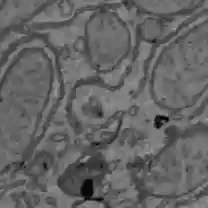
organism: C57BL Mouse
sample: Liver